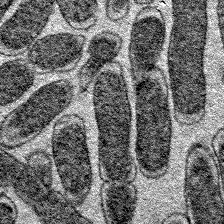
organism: E. coli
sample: E. Coli Bacteria